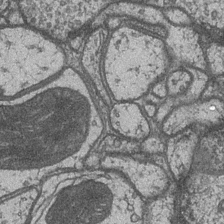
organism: Drosophila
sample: Optic medulla